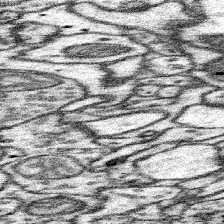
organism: Mouse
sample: Somatosensory cortex neuropil